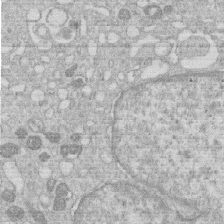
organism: Human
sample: Macrophage cells